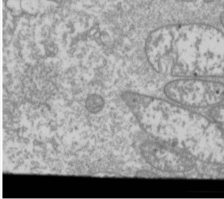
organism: Drosophila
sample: Cell division; meiosis; drosophila spermatocytes